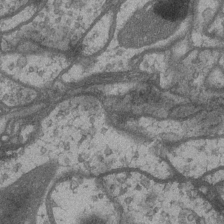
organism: Drosophila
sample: Optic medulla